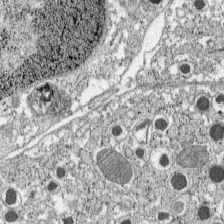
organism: C57BL Mouse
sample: Pancreatic islet